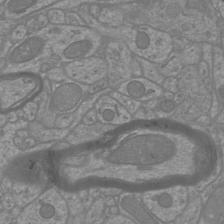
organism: Mouse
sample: Cortical neurons